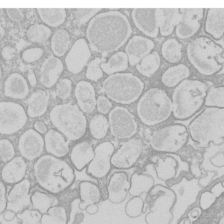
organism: Xenopus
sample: Cilia; centrioles in frog embryo cells